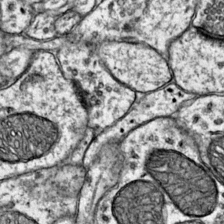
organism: Mouse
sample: Primary visual cortex